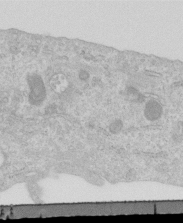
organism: Human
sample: Centriole in RPE cells